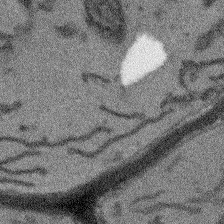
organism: Arabidopsis thaliana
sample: Root tip